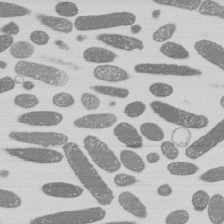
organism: E. coli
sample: Bacterial nucleoid